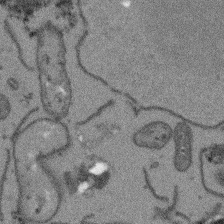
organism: Arabidopsis thaliana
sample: Root tip